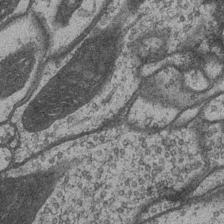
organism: Drosophila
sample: Optic medulla